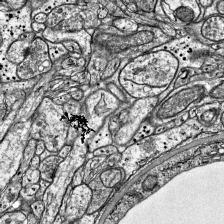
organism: Mouse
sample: Visual Cortex